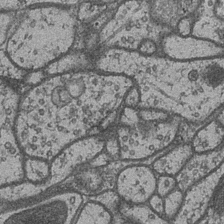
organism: Drosophila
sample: Optic medulla